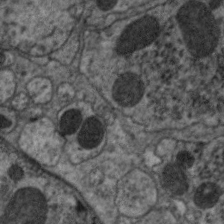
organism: C. elegans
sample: Pharynx